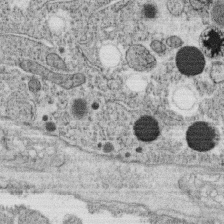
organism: C. elegans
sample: C. elegans oocyte; sperm cells